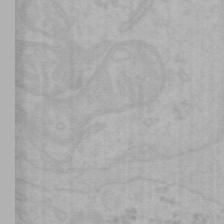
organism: Mouse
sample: Choroid plexus